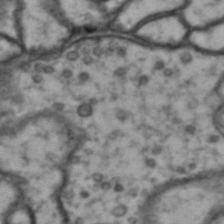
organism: Drosophila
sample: Brain